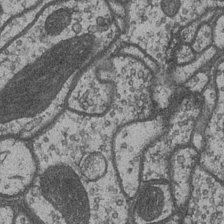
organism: Drosophila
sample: Optic medulla